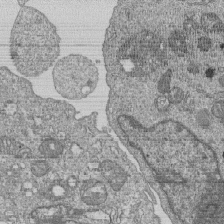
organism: Human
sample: MDA-MB-231 cells